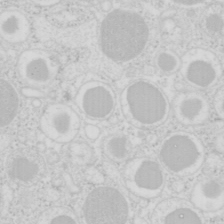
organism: Mouse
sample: Pancreas